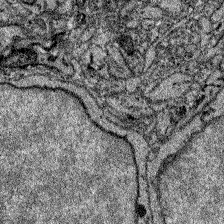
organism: Zebrafish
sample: Larval olfactory bulb